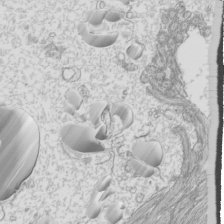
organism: Mouse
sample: Cilia; mouse epididymis